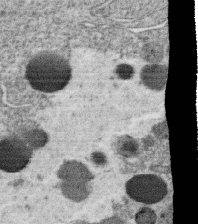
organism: C. elegans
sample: C. elegans oocyte; sperm cells